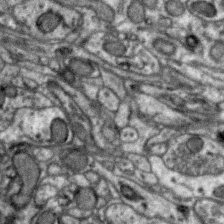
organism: Zebra finch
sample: Brain